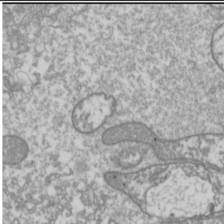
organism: Drosophila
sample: Cell division; meiosis; drosophila spermatocytes